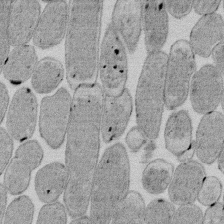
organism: E. coli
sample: Bacterial nucleoid